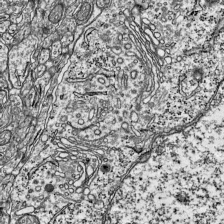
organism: Mouse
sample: Visual Cortex